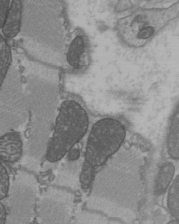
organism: C57BL Mouse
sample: Heart